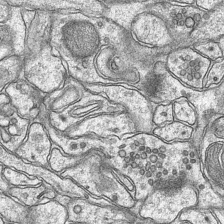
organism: Mouse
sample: CA1 Hippocampus